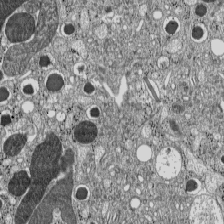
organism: C57BL Mouse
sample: Pancreatic islet